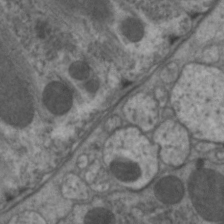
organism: C. elegans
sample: Pharynx